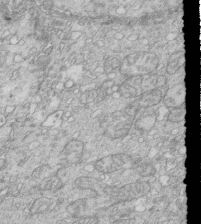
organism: Mouse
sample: Multiciliated cells